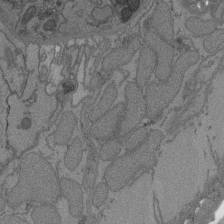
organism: C. elegans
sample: AFD neurons C. elegans